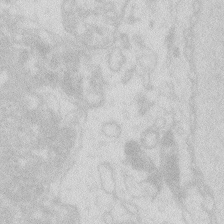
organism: Zebrafish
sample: Macrophage